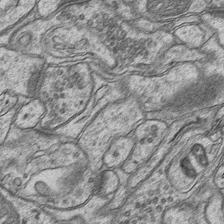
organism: Mouse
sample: CA1 Hippocampus